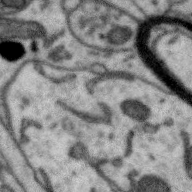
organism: Zebra finch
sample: Brain